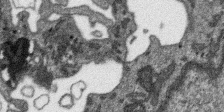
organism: Human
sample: Lung epithelial cells infected with SARS-CoV-2